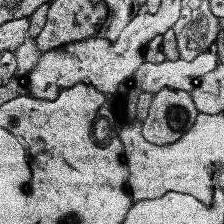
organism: Human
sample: Temporal Lobe